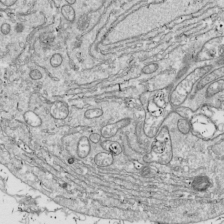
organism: Drosophila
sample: Cell division; meiosis; drosophila spermatocytes